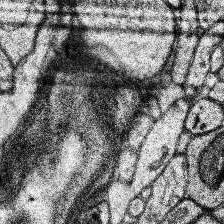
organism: Human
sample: Temporal Lobe